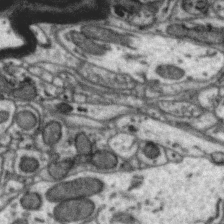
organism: Zebra finch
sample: Brain